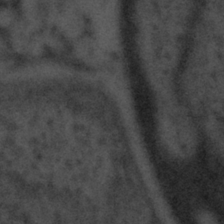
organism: Tuwongella immobilis